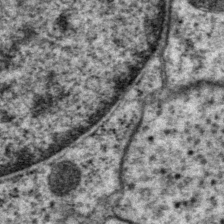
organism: P. pacificus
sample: Pharynx